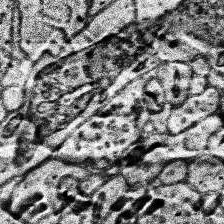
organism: Human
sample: Temporal Lobe